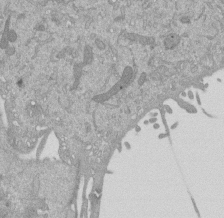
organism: Mouse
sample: ED-1 cell nuclei; centrioles